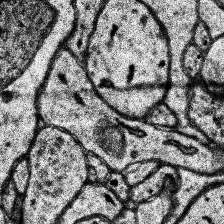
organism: Human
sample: Temporal Lobe